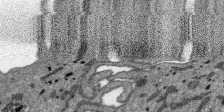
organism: Human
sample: Lung epithelial cells, uninfected (mock) control